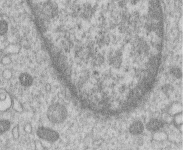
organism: Human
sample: Macrophage cells